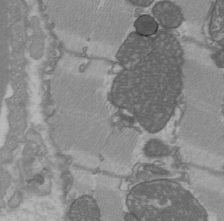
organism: C57BL Mouse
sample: Heart